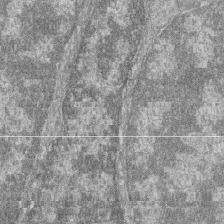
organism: Zebrafish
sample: Cilia; retinal pigment epithelium